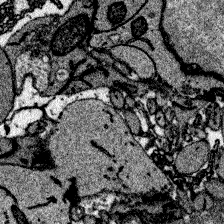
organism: Zebrafish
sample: Larval olfactory bulb